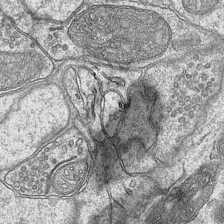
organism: Mouse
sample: CA1 Hippocampus